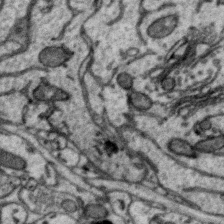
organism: Zebra finch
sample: Brain